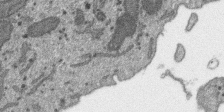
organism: Human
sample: Lung epithelial cells infected with SARS-CoV-2